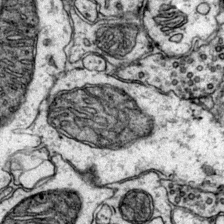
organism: Mouse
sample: Primary visual cortex